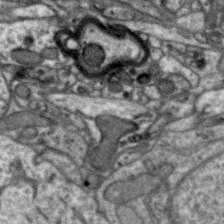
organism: Zebra finch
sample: Brain